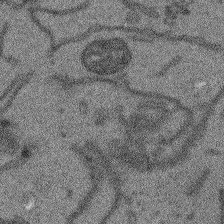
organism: Arabidopsis thaliana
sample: Root tip